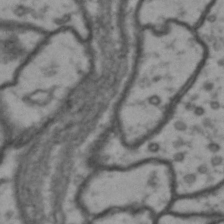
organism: Drosophila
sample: Brain